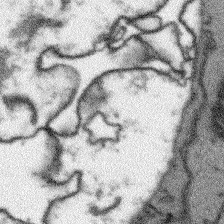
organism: Arabidopsis thaliana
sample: Root tip